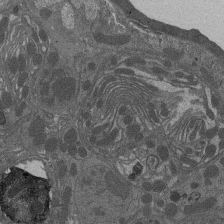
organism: Drosophila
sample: Antenna